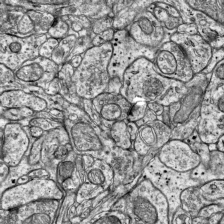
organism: Mouse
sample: Visual Cortex